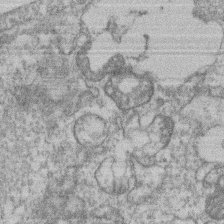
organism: Mouse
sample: T cell stromal cell synapse